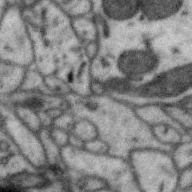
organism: Zebra finch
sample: Brain